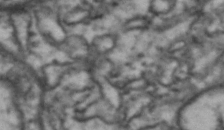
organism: Drosophila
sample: Brain